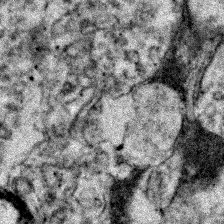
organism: Zebrafish